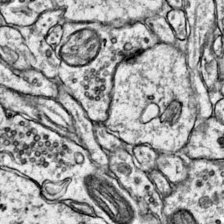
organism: Mouse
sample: Primary visual cortex